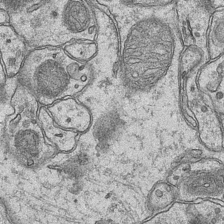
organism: Mouse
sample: CA1 Hippocampus